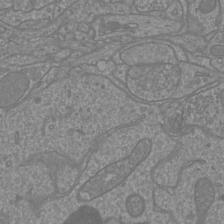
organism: Mouse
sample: Cortical neurons